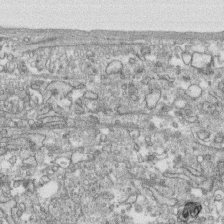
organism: Human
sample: CRL-1474